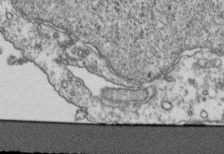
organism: Human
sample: Activated Jurkat CD4+ T cells